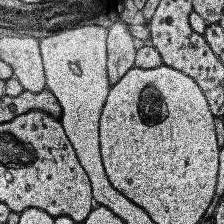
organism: Human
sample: Temporal Lobe